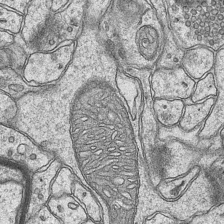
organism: Mouse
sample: CA1 Hippocampus